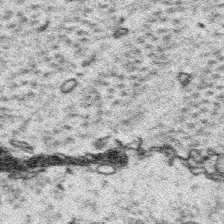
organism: Platynereis dumerilii